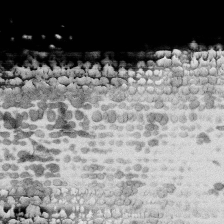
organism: Human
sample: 1205lu cells